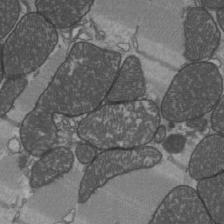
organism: C57BL Mouse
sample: Heart